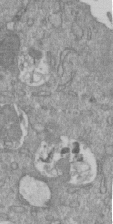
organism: Mouse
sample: ED-1 cell nuclei; centrioles